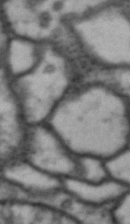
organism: Drosophila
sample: Brain